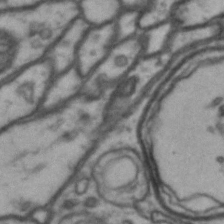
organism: Drosophila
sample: Brain